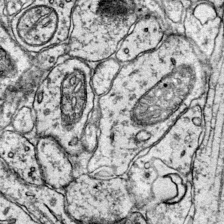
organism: Mouse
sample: Primary visual cortex